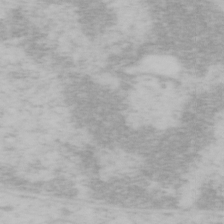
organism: Mouse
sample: OT-I killer T cells with ID8 ovarian cancer cells